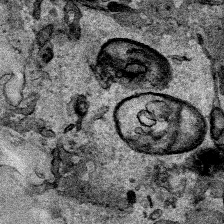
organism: Human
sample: Mitochondria in HCT116 cells